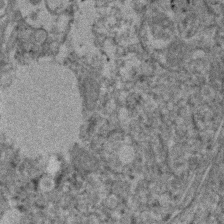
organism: Human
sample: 1205lu cells